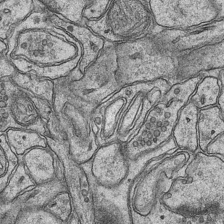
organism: Mouse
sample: CA1 Hippocampus